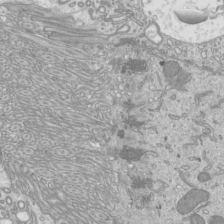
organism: Mouse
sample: Cilia; mouse epididymis